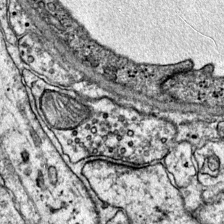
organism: Mouse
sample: Primary visual cortex